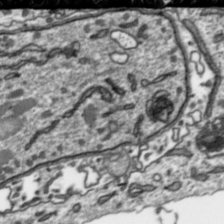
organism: Toxoplasma gondii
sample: Parasites in a vacuole inside a host cell